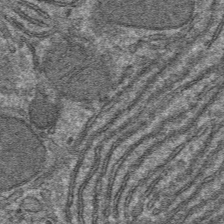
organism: Mouse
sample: Mouse hepatocytes